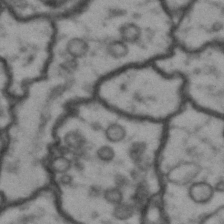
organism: Drosophila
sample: Brain